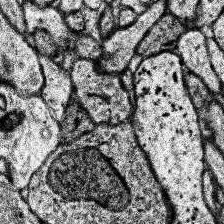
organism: Human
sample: Temporal Lobe